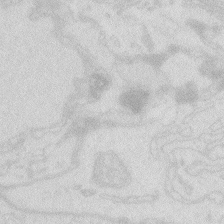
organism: Zebrafish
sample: Macrophage